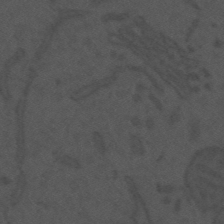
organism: Mouse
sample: Suprachiasmatic nucleus